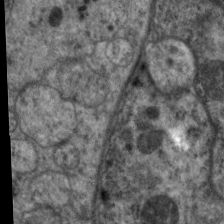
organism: C. elegans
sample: Pharynx